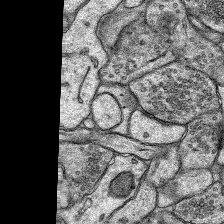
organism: Rat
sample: Hippocampus